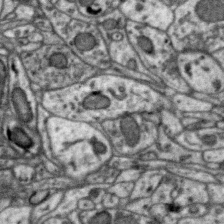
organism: Zebra finch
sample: Brain